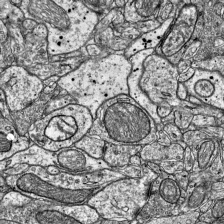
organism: Mouse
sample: Visual Cortex